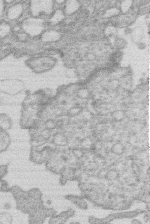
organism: Human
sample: Macrophage cells